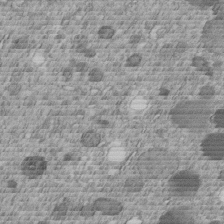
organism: C. elegans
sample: C. elegans embryo early stage